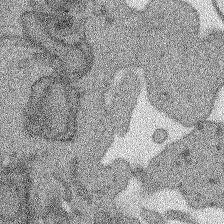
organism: Human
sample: HeLa cells